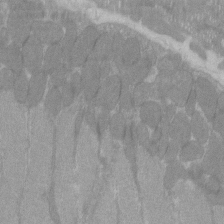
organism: C57BL Mouse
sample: Tibialis anterior muscle cell